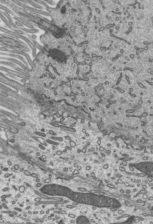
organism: Mouse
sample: Mouse epididymis efferent ductule cilia